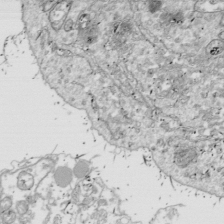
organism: Drosophila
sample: Cell division; meiosis; drosophila spermatocytes